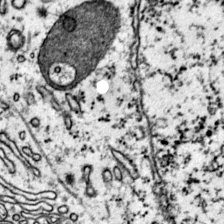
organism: Mouse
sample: Primary visual cortex